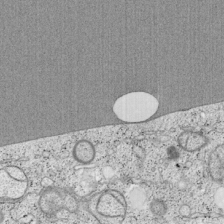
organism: African green monkey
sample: COS-7 cells